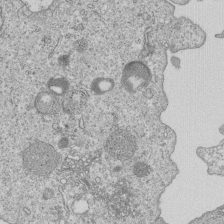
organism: Human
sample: MDA-MB-231 cells